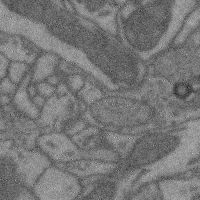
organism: Mouse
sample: Cerebral cortex